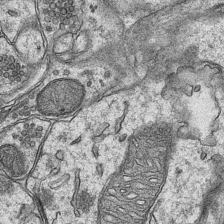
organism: Mouse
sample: CA1 Hippocampus